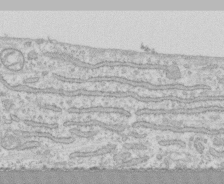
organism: Human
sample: CRL-1474